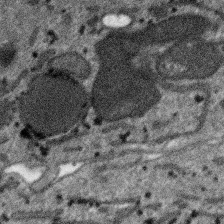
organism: Human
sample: Lung epithelial cells infected with SARS-CoV-2